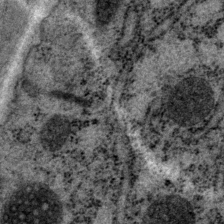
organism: P. pacificus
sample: Pharynx